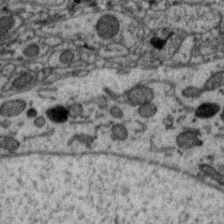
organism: Zebra finch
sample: Brain